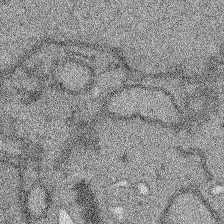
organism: Human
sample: HeLa cells